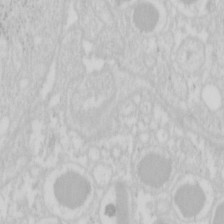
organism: Mouse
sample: Pancreas